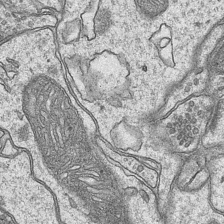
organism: Mouse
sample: CA1 Hippocampus